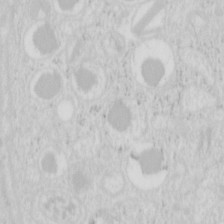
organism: Mouse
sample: Pancreas